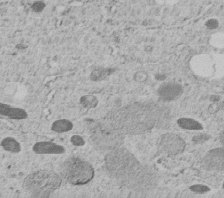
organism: C. elegans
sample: C. elegans embryo early stage